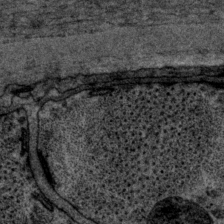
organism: P. pacificus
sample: Pharynx